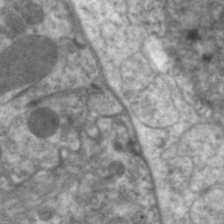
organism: C. elegans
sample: Pharynx